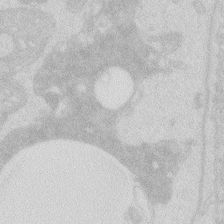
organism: Zebrafish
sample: Macrophage